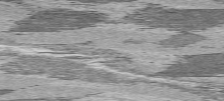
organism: C57BL Mouse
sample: Heart